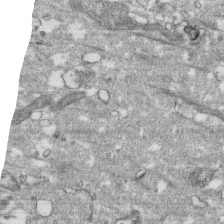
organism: Human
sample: CRL-1474